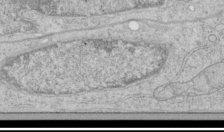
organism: Human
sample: Mitochondria in HCT116 cells